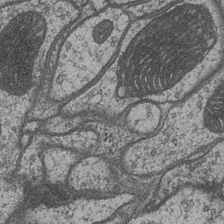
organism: Drosophila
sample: Optic medulla